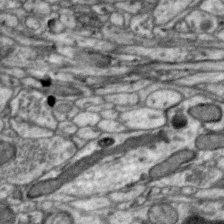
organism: Zebra finch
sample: Brain